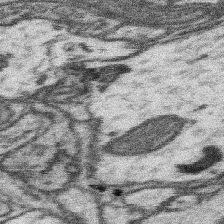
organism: Mouse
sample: Somatosensory cortex neuropil